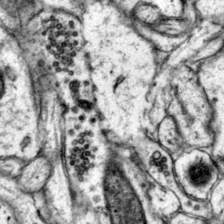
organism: Mouse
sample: Primary visual cortex